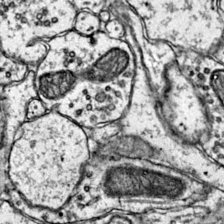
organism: Mouse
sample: Primary visual cortex